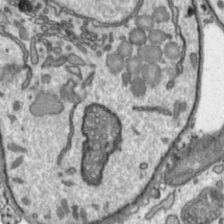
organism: Toxoplasma gondii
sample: Parasites in a vacuole inside a host cell